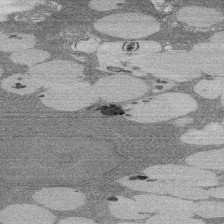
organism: Rat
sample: Salivary granule